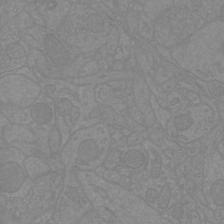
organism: Mouse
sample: Cortical neurons